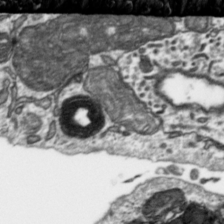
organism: Toxoplasma gondii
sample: Parasites in a vacuole inside a host cell